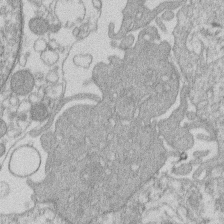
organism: Human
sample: Macrophage cells